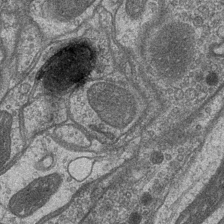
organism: Drosophila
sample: Optic medulla